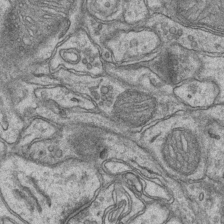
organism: Mouse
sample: CA1 Hippocampus